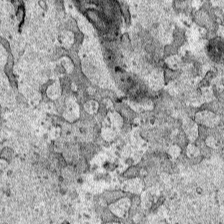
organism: Human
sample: Mitochondria in HCT116 cells